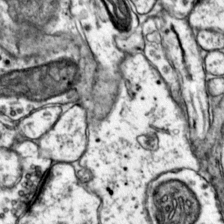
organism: Mouse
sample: Primary visual cortex